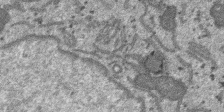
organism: Human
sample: Lung epithelial cells infected with SARS-CoV-2